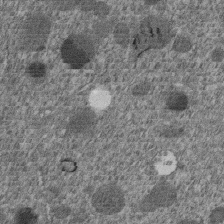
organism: C. elegans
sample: C. elegans embryo early stage